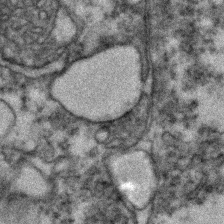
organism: Zebrafish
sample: Zebrafish embryo